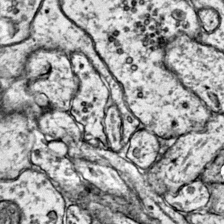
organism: Mouse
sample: Primary visual cortex